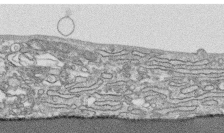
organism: Human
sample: CRL-1474